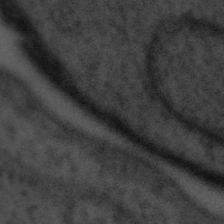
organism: Tuwongella immobilis